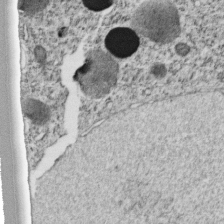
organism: C. elegans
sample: C. elegans embryo early stage